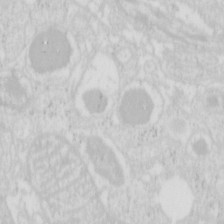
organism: Mouse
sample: Pancreas